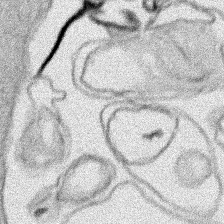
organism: Human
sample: Mitochondria in HCT116 cells